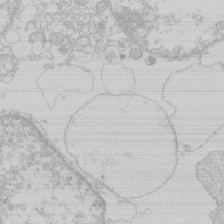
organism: Human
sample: Macrophage cells